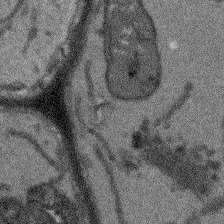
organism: Arabidopsis thaliana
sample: Root tip